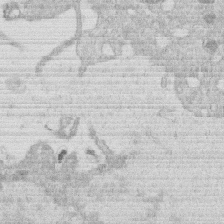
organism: Human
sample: Macrophage cells